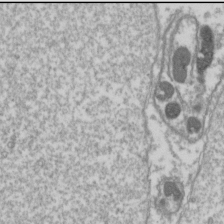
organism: Drosophila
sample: Cell division; meiosis; drosophila spermatocytes